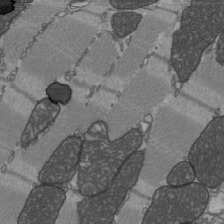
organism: C57BL Mouse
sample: Heart